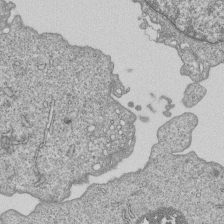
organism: Human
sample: MDA-MB-231 cells